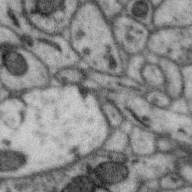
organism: Zebra finch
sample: Brain